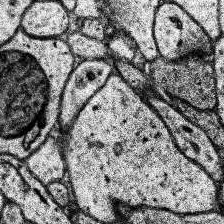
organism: Human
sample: Temporal Lobe